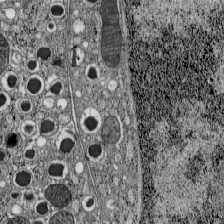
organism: C57BL Mouse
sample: Pancreatic islet